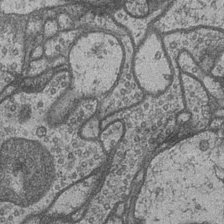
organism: Drosophila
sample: Optic medulla